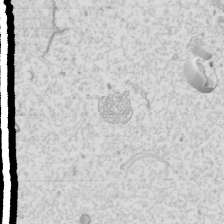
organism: Mouse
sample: Cilia; mouse epididymis